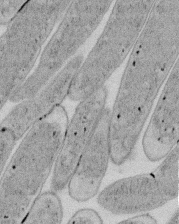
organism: E. coli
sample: Bacterial nucleoid